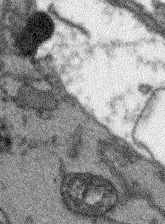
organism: Arabidopsis thaliana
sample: Root tip